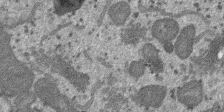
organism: Human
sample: Lung epithelial cells infected with SARS-CoV-2